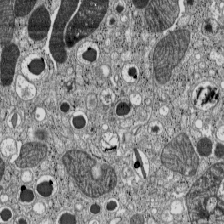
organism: C57BL Mouse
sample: Pancreatic islet